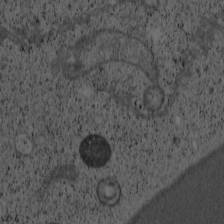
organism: African green monkey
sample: COS-7 cells